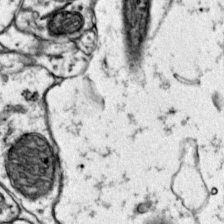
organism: Mouse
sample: Primary visual cortex